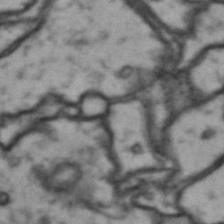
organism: Drosophila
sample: Brain